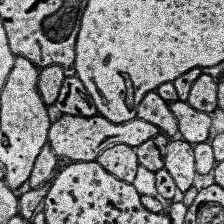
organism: Human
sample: Temporal Lobe